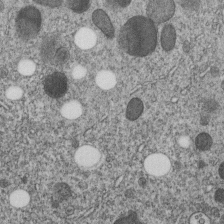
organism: C. elegans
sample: C. elegans embryo early stage